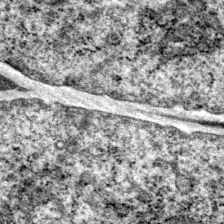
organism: P. pacificus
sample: Pharynx